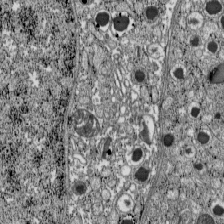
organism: C57BL Mouse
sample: Pancreatic islet